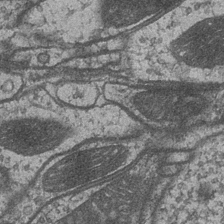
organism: Drosophila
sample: Optic medulla